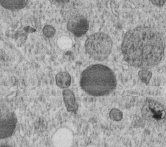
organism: C. elegans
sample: C. elegans embryo early stage